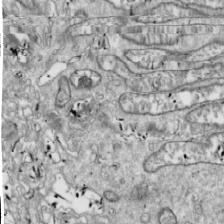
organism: Drosophila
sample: Cell division; meiosis; drosophila spermatocytes